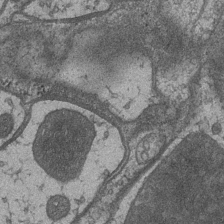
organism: Drosophila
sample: Optic medulla